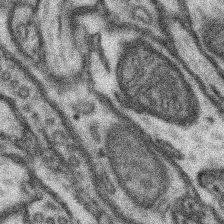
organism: Mouse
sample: Somatosensory cortex neuropil